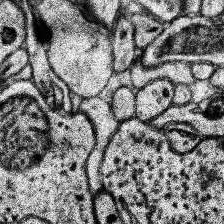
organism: Human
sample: Temporal Lobe